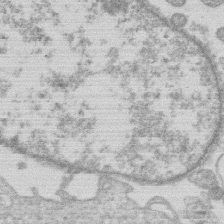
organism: Human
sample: Macrophage cells